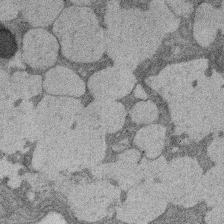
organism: Rat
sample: Salivary granule